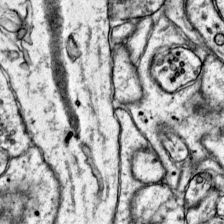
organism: Mouse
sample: Primary visual cortex